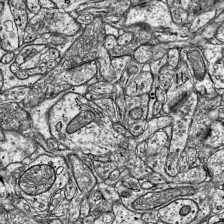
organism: Mouse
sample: Visual Cortex